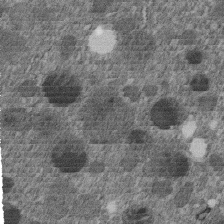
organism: C. elegans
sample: C. elegans embryo early stage